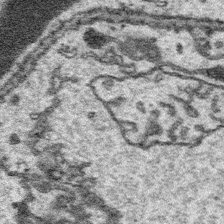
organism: Platynereis dumerilii